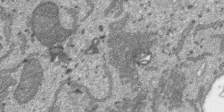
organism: Human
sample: Lung epithelial cells infected with SARS-CoV-2